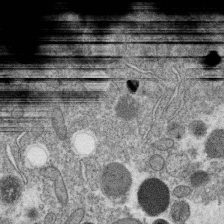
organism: C. elegans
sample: C. elegans oocyte; sperm cells